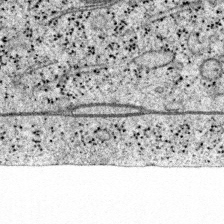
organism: Human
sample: HeLa cells